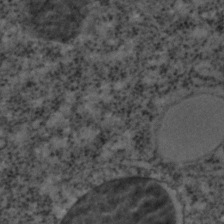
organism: C. elegans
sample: C. elegans embryo